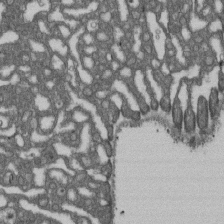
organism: Drosophila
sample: Nephrocyte